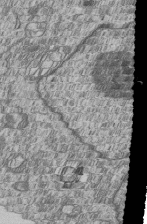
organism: Human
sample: MDA-MB-231 cells